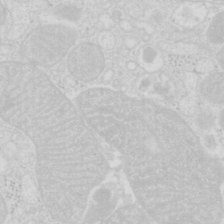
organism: Mouse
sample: Pancreas